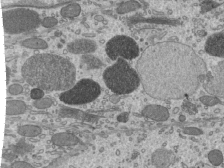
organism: Mouse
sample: Mouse epididymis efferent ductule cilia